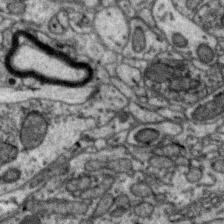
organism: Zebra finch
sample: Brain